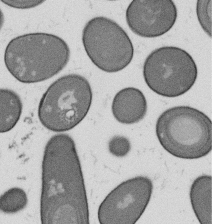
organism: B. subtilis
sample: Bacterial spore